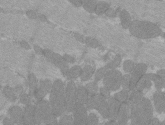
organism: C57BL Mouse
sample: Tibialis anterior muscle cell